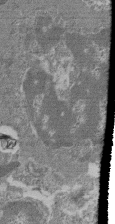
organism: Mouse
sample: Glomerulus